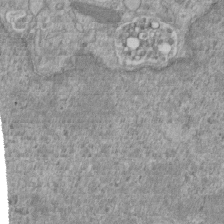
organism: Mouse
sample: ED-1 cell nuclei; centrioles